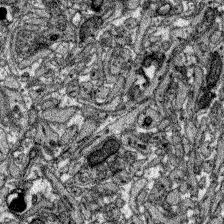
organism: Zebrafish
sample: Larval olfactory bulb